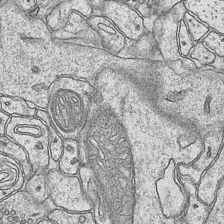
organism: Mouse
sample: CA1 Hippocampus